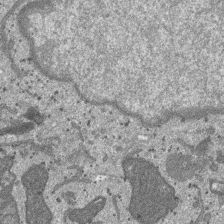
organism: Human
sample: Lung epithelial cells infected with SARS-CoV-2